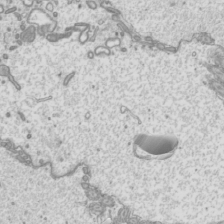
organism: Mouse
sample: Cilia; mouse epididymis